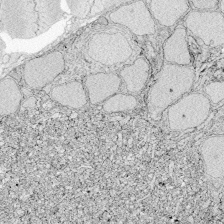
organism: Zebrafish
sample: Whole-Brain